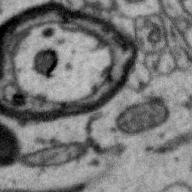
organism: Zebra finch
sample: Brain